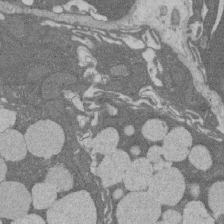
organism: Rat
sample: Salivary granule